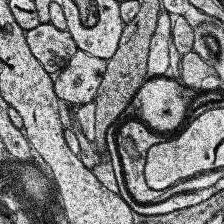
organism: Human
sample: Temporal Lobe